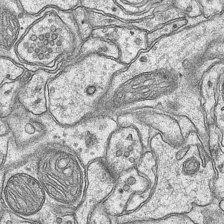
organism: Mouse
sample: CA1 Hippocampus